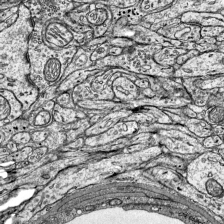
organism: Mouse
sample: Visual Cortex